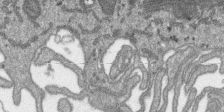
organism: Human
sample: Lung epithelial cells infected with SARS-CoV-2